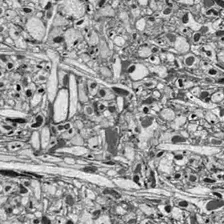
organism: Drosophila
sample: Optic lobe